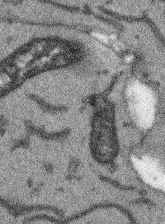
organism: Arabidopsis thaliana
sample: Root tip